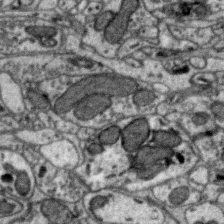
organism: Zebra finch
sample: Brain